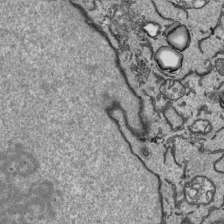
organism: Human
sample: Mitochondria in HCT116 cells